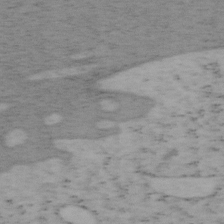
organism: Mouse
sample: OT-I killer T cells with ID8 ovarian cancer cells